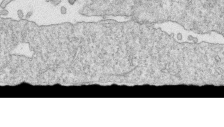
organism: Human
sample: HeLa cell HIV synapse